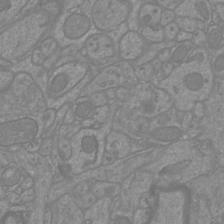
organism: Mouse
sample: Cortical neurons